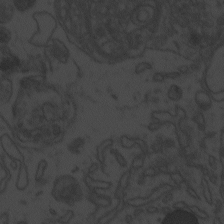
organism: Zebrafish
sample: Macrophage infected with Toxoplasma gondii